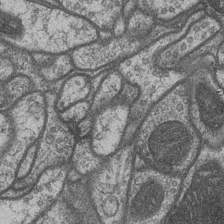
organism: Drosophila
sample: Optic medulla